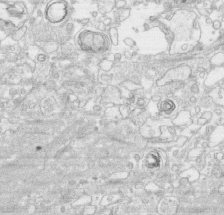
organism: Human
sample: CRL-1474